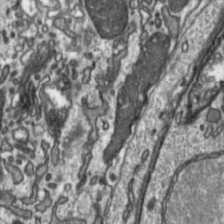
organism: Toxoplasma gondii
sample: Parasites in a vacuole inside a host cell